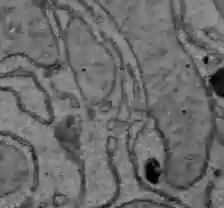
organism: C57BL Mouse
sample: Liver